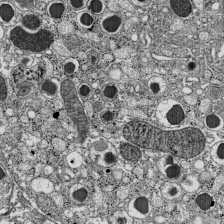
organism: C57BL Mouse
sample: Pancreatic islet